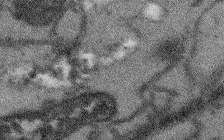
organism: Arabidopsis thaliana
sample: Root tip